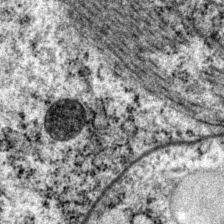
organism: P. pacificus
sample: Pharynx